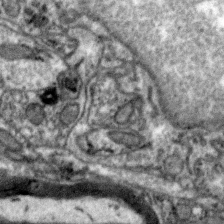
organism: Zebra finch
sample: Brain